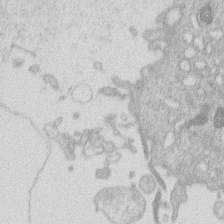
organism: Human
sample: Macrophage cells